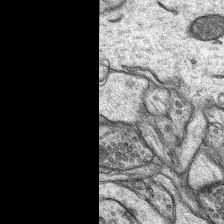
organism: Rat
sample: Hippocampus